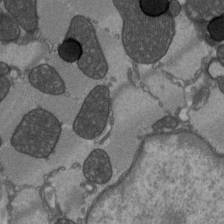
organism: C57BL Mouse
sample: Heart